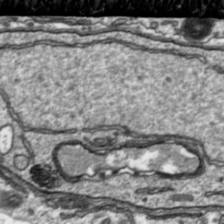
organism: Toxoplasma gondii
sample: Parasites in a vacuole inside a host cell